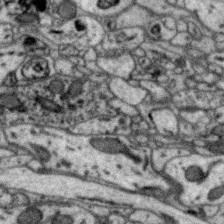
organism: Zebra finch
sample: Brain